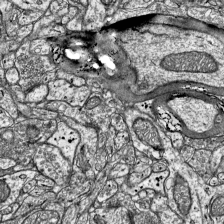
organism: Mouse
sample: Visual Cortex